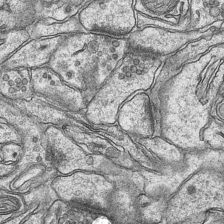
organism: Mouse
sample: CA1 Hippocampus